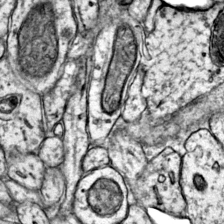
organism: Mouse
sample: Primary visual cortex